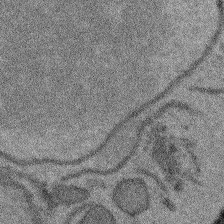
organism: Arabidopsis thaliana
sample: Root tip